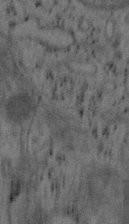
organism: Human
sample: HeLa cells